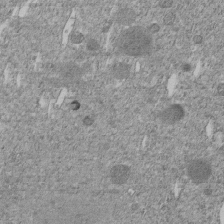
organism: C. elegans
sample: C. elegans embryo early stage